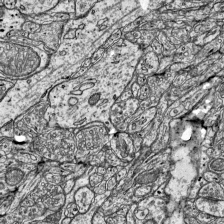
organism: Mouse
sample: Visual Cortex